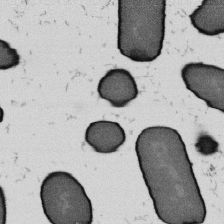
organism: B. subtilis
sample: Bacterial spore